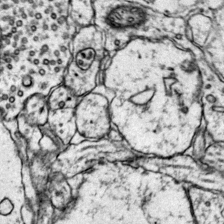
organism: Mouse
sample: Primary visual cortex